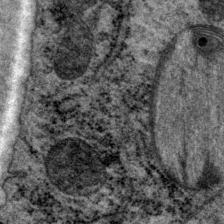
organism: P. pacificus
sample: Pharynx